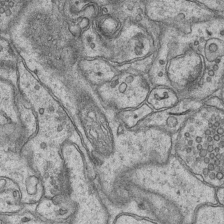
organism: Mouse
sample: CA1 Hippocampus